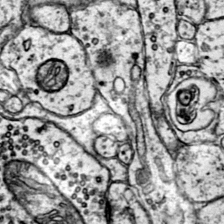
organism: Mouse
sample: Primary visual cortex